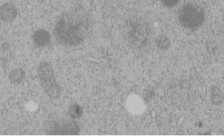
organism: C. elegans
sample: C. elegans embryo early stage